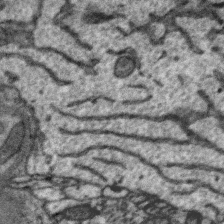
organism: Zebra finch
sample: Brain